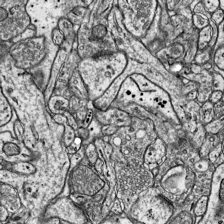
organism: Mouse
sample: Visual Cortex